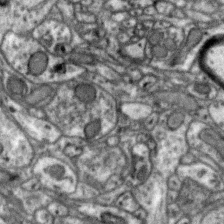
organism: Zebra finch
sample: Brain